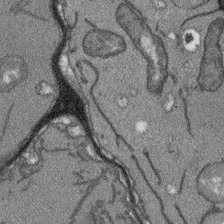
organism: Arabidopsis thaliana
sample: Root tip